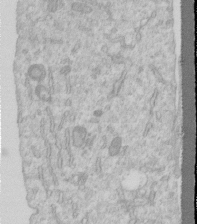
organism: Human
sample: Centriole in RPE cells